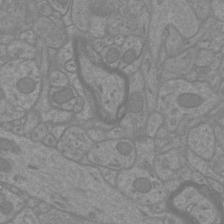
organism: Mouse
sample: Cortical neurons